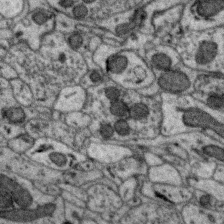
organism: Zebra finch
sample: Brain